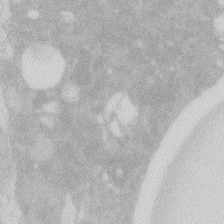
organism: Zebrafish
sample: Macrophage